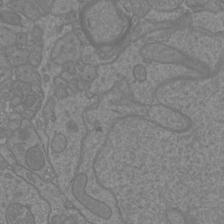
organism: Mouse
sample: Cortical neurons